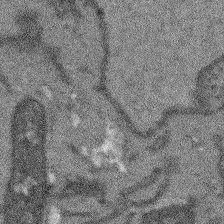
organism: Arabidopsis thaliana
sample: Root tip